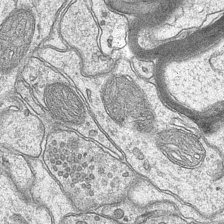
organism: Mouse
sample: CA1 Hippocampus